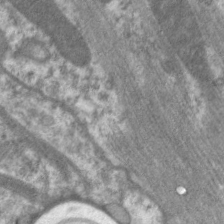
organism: C. elegans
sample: Pharynx